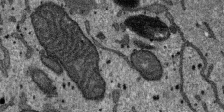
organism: Human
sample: Lung epithelial cells, uninfected (mock) control